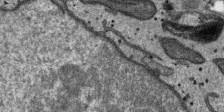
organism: Human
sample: Lung epithelial cells, uninfected (mock) control